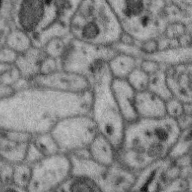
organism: Zebra finch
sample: Brain